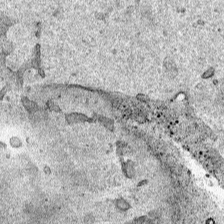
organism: Human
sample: Mitochondria in HCT116 cells